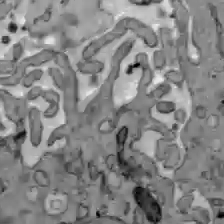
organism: C57BL Mouse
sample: Liver